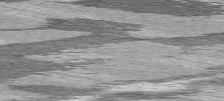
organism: C57BL Mouse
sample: Heart